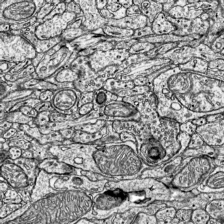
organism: Mouse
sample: Visual Cortex